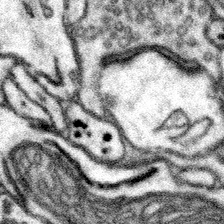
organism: Mouse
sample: Somatosensory cortex neuropil